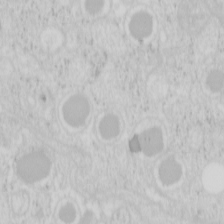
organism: Mouse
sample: Pancreas